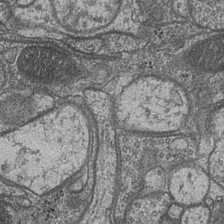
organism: Drosophila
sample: Optic medulla